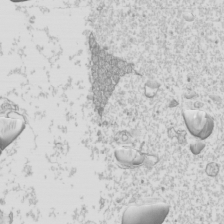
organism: Mouse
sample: Cilia; mouse epididymis